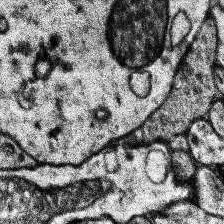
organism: Human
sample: Temporal Lobe